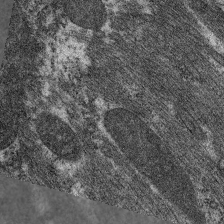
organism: C. elegans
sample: Pharynx